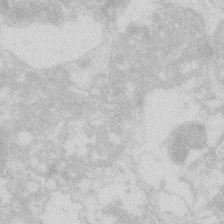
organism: Zebrafish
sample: Macrophage